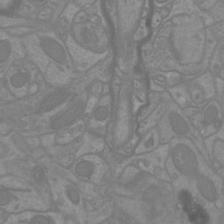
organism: Mouse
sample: Cortical neurons